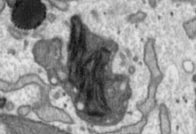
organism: Toxoplasma gondii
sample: Parasites in a vacuole inside a host cell